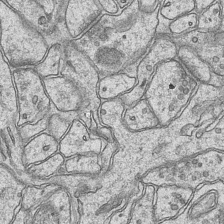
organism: Mouse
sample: CA1 Hippocampus